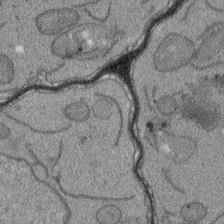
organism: Arabidopsis thaliana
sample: Root tip